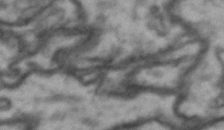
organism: Drosophila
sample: Brain